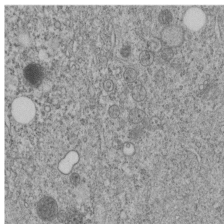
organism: C. elegans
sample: C. elegans embryo early stage